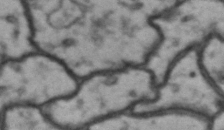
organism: Drosophila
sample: Brain